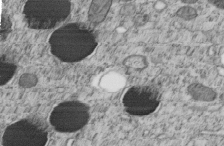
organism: C. elegans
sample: C. elegans embryo early stage